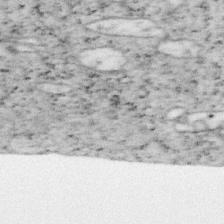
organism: Mouse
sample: OT-I killer T cells with ID8 ovarian cancer cells